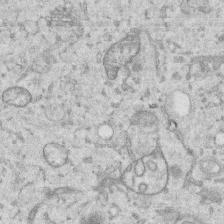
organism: Human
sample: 1205lu cells